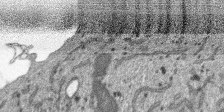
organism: Human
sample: Lung epithelial cells infected with SARS-CoV-2